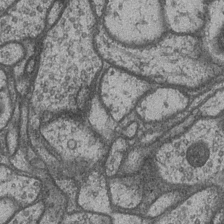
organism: Drosophila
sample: Optic medulla